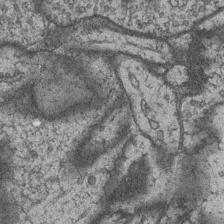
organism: Drosophila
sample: Optic medulla